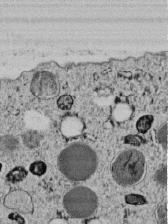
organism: C. elegans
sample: C. elegans embryo early stage